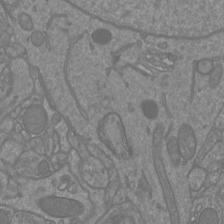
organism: Mouse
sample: Cortical neurons